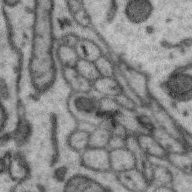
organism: Zebra finch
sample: Brain